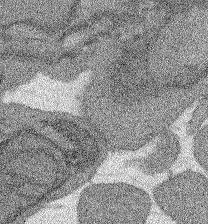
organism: Human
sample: HeLa cells